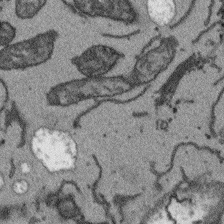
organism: Arabidopsis thaliana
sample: Root tip